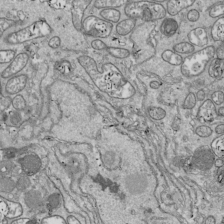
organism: Drosophila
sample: Cell division; meiosis; drosophila spermatocytes